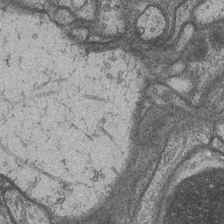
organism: Drosophila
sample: Optic medulla